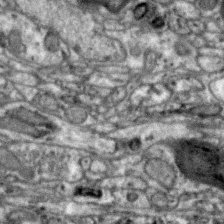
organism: Zebra finch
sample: Brain